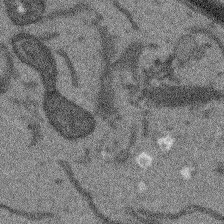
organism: Arabidopsis thaliana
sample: Root tip